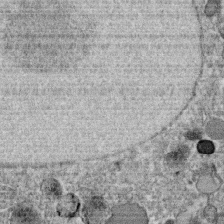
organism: C. elegans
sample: C. elegans oocyte; sperm cells